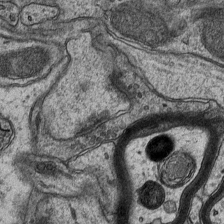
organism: Mouse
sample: CA1 Hippocampus